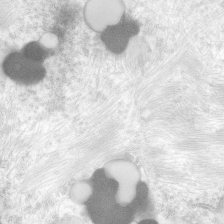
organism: Human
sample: Neocortex